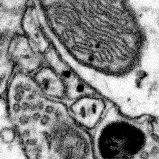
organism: Mouse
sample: Somatosensory cortex neuropil